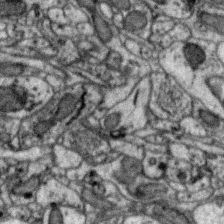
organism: Zebra finch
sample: Brain